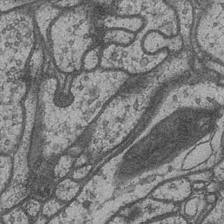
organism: Drosophila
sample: Optic medulla